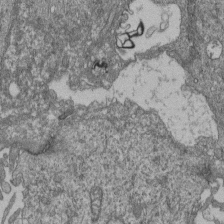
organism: Human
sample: Retinal organoid Rod and Cone cells